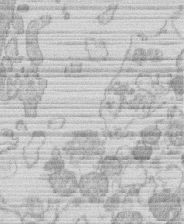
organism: Human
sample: Macrophage cells